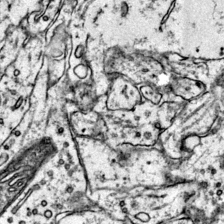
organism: Mouse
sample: Primary visual cortex